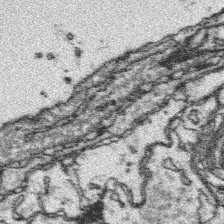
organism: Platynereis dumerilii